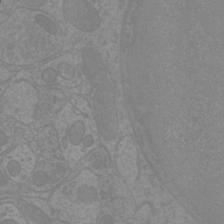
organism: Mouse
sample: Cortical neurons